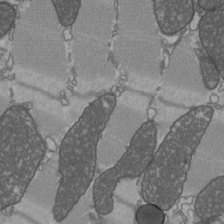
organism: C57BL Mouse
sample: Heart